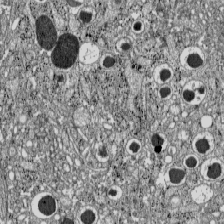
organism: C57BL Mouse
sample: Pancreatic islet